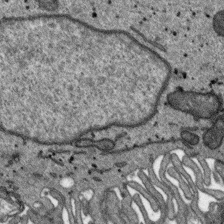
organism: Human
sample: Lung epithelial cells, uninfected (mock) control